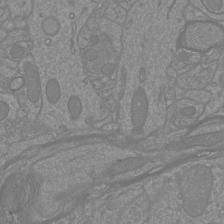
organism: Mouse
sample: Cortical neurons